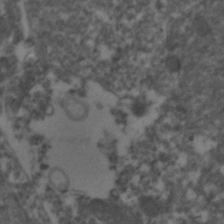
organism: Zebrafish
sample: Zebrafish embryo